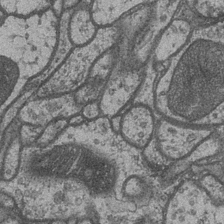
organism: Drosophila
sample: Optic medulla